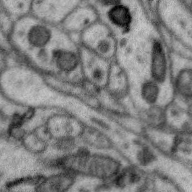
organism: Zebra finch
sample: Brain